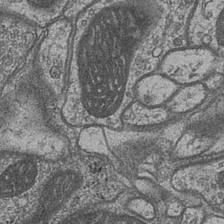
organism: Drosophila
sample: Optic medulla